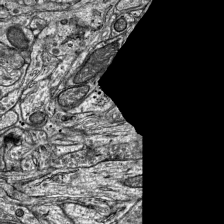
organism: Mouse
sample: Visual Cortex